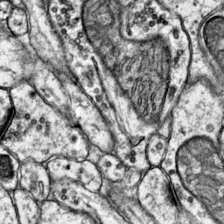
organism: Mouse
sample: Primary visual cortex